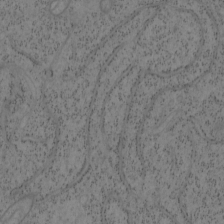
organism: Mouse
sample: OT-I killer T cells with ID8 ovarian cancer cells